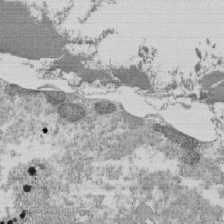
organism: Tetrahymena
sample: Cilia in tetrahymena